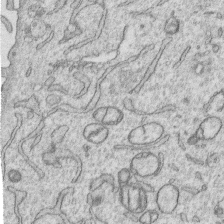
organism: Human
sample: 1205lu cells